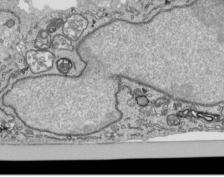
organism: Human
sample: Mitochondria in HCT116 cells